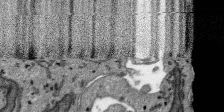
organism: Human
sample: Lung epithelial cells, uninfected (mock) control